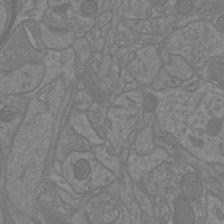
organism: Mouse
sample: Cortical neurons